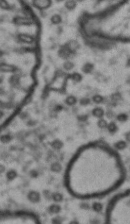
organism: Drosophila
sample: Brain